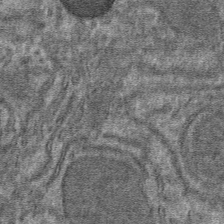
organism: Mouse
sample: Mouse hepatocytes